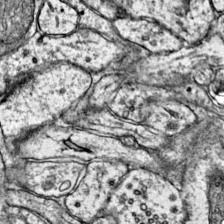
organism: Mouse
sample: Primary visual cortex